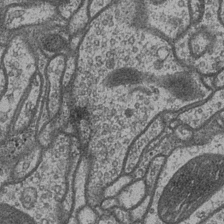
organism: Drosophila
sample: Optic medulla